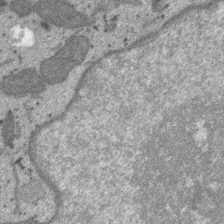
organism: Human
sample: Lung epithelial cells infected with SARS-CoV-2